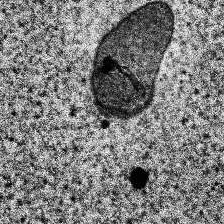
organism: Human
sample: Temporal Lobe